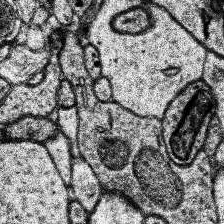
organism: Human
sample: Temporal Lobe